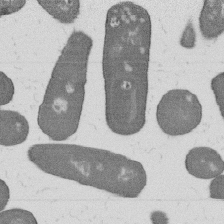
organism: B. subtilis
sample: Bacterial spore